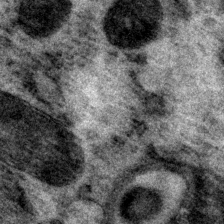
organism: P. pacificus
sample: Pharynx